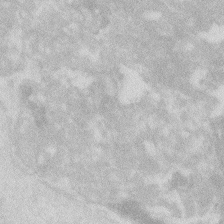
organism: Zebrafish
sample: Macrophage